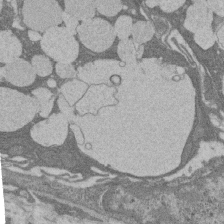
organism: Rat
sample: Salivary granule